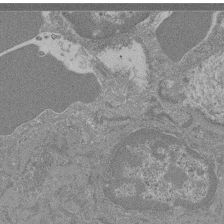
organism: Mouse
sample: Glomerulus